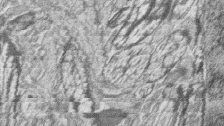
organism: Zebrafish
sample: synaptic ribbons in rod cells and cone cells